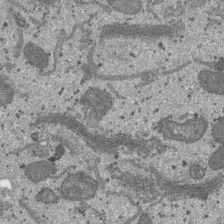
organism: Human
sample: Lung epithelial cells infected with SARS-CoV-2